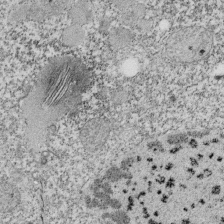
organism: Tetrahymena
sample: Cilia in tetrahymena